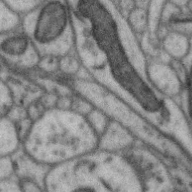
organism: Zebra finch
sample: Brain